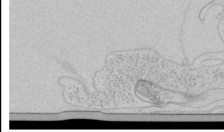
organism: Human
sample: Mitochondria in HCT116 cells